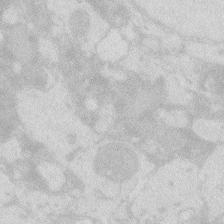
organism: Zebrafish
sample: Macrophage